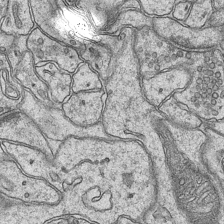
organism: Mouse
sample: CA1 Hippocampus